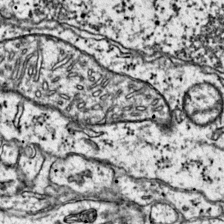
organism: Mouse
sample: Primary visual cortex